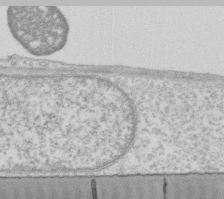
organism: Human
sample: Fibroblast cells